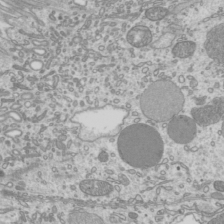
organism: Mouse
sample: Cilia; mouse epididymis